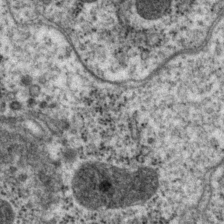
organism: P. pacificus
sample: Pharynx